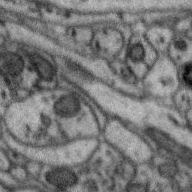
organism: Zebra finch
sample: Brain